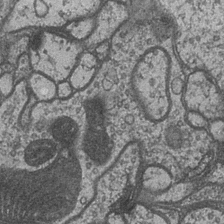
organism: Drosophila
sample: Optic medulla